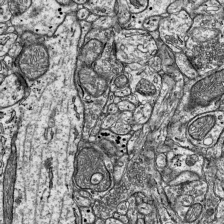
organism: Mouse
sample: Visual Cortex